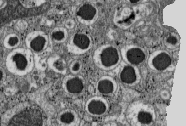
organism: C57BL Mouse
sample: Pancreatic islet